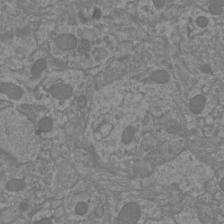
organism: Mouse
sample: Cortical neurons